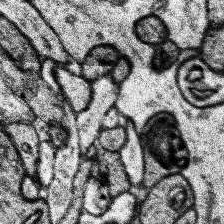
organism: Human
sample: Temporal Lobe